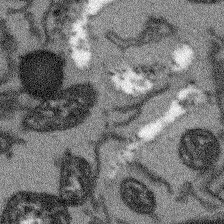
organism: Arabidopsis thaliana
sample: Root tip